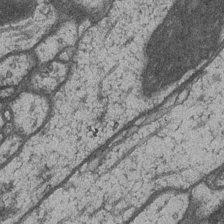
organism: Drosophila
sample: Optic medulla